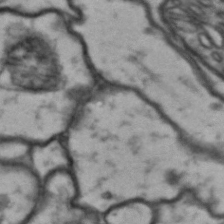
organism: Drosophila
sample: Brain